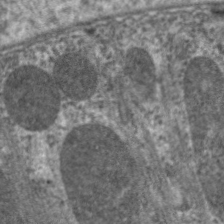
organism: C. elegans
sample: Pharynx